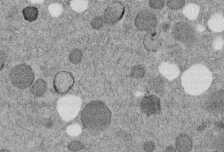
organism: C. elegans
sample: C. elegans embryo early stage